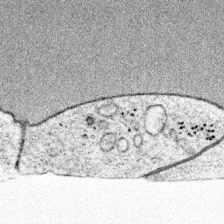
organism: Human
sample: HeLa cells